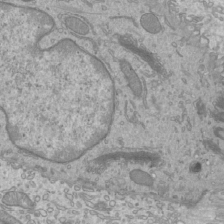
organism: Mouse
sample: Cilia; mouse epididymis